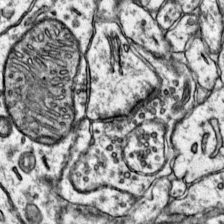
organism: Mouse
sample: Primary visual cortex